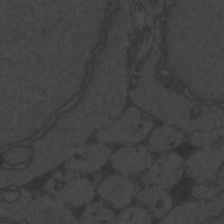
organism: Zebrafish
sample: Macrophage infected with Toxoplasma gondii